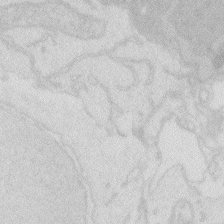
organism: Zebrafish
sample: Macrophage